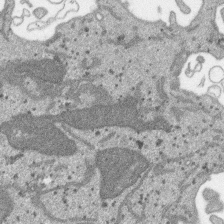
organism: Human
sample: Lung epithelial cells infected with SARS-CoV-2